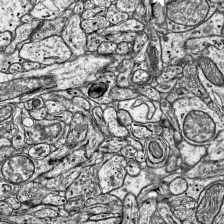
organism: Mouse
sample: Visual Cortex